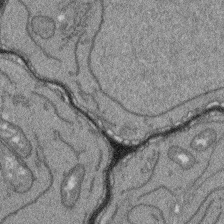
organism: Arabidopsis thaliana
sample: Root tip